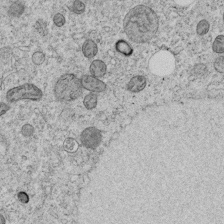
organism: C. elegans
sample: C. elegans embryo early stage